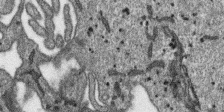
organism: Human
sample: Lung epithelial cells infected with SARS-CoV-2